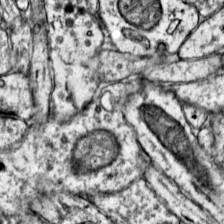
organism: Mouse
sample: Primary visual cortex